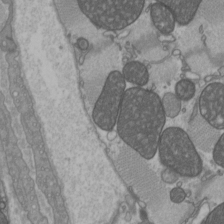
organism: C57BL Mouse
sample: Heart